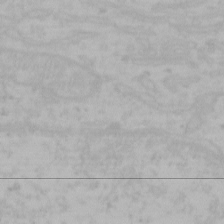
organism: Mouse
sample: Choroid plexus